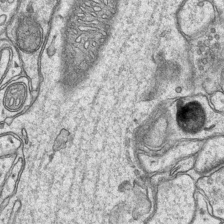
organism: Mouse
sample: CA1 Hippocampus